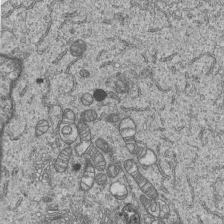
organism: Human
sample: MDA-MB-231 cells